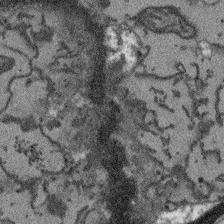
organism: Arabidopsis thaliana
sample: Root tip